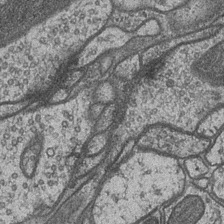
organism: Drosophila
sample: Optic medulla